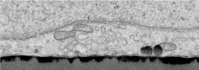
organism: Human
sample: Centriole in RPE cells